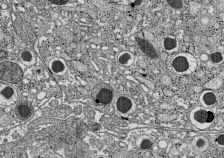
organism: C57BL Mouse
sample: Pancreatic islet